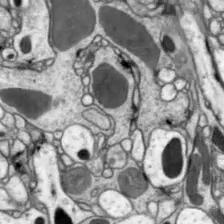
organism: Drosophila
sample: Optic lobe